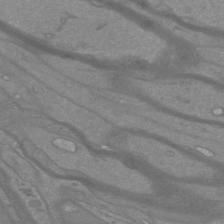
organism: Mouse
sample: Cortical neurons